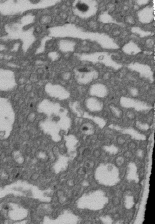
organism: Drosophila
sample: Nephrocyte